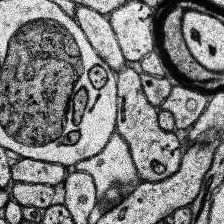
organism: Human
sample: Temporal Lobe